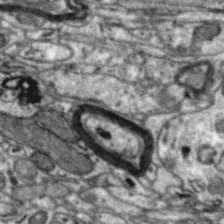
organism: Zebra finch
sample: Brain